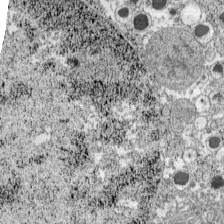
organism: C57BL Mouse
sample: Pancreatic islet